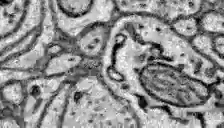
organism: Zebrafish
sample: Brain